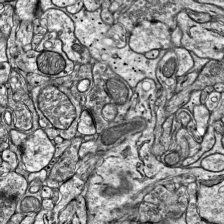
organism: Mouse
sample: Visual Cortex